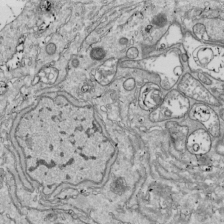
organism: Drosophila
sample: Cell division; meiosis; drosophila spermatocytes